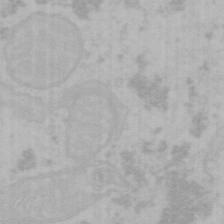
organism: Mouse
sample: Choroid plexus